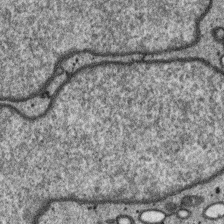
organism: Human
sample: Lung epithelial cells infected with SARS-CoV-2